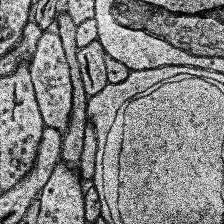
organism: Human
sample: Temporal Lobe